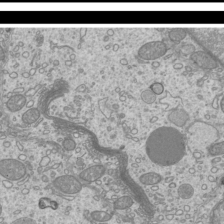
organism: Mouse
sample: Cilia; mouse epididymis